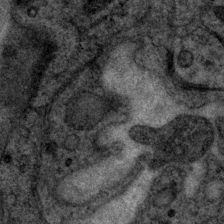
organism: P. pacificus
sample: Pharynx